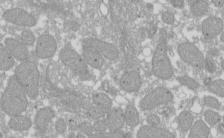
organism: Xenopus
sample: Cilia; centrioles in frog embryo cells